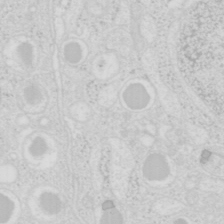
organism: Mouse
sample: Pancreas